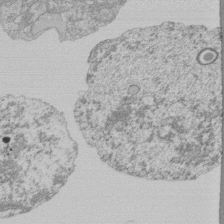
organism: Mouse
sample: Activated Pmel transgenic CD8+ T Cells